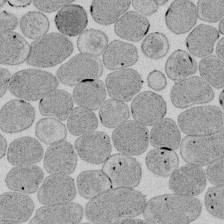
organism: E. coli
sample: Bacterial nucleoid